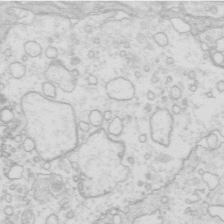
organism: Mouse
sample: Multiciliated cells